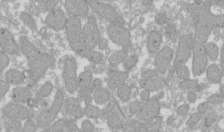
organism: Xenopus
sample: Cilia; centrioles in frog embryo cells